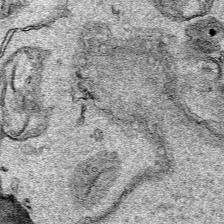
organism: Human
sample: Mitochondria in HCT116 cells